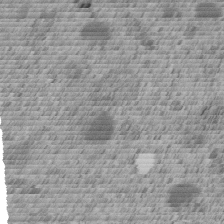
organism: C. elegans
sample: C. elegans embryo early stage